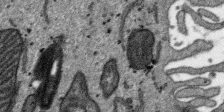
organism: Human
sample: Lung epithelial cells, uninfected (mock) control